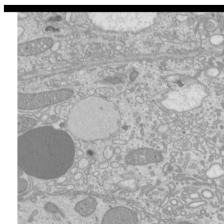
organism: Mouse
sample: Cilia; mouse epididymis